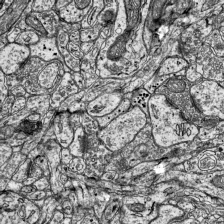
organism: Mouse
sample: Visual Cortex